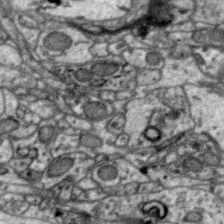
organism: Zebra finch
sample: Brain